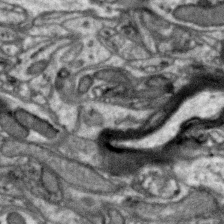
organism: Zebra finch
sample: Brain